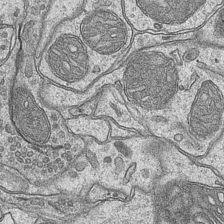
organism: Mouse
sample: CA1 Hippocampus